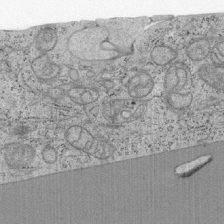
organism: Human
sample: HeLa cells